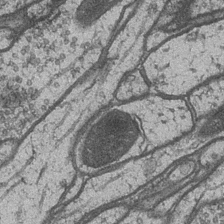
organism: Drosophila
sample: Optic medulla